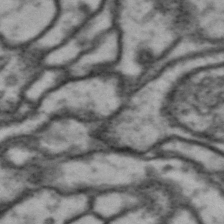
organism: Drosophila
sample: Brain